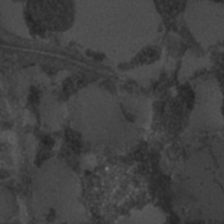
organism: C. elegans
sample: C. elegans embryo